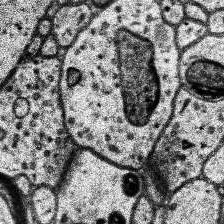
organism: Human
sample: Temporal Lobe